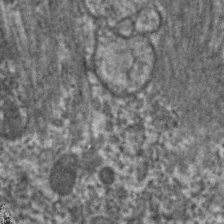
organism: C. elegans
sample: Pharynx